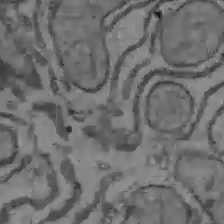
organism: C57BL Mouse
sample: Liver